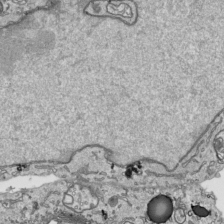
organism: Human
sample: Mitochondria in HCT116 cells